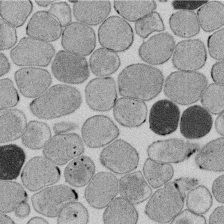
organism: E. coli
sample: Bacterial nucleoid